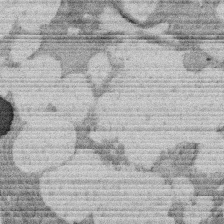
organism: Rat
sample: Salivary granule